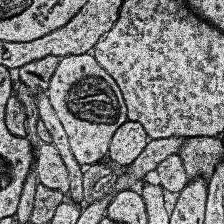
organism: Human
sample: Temporal Lobe